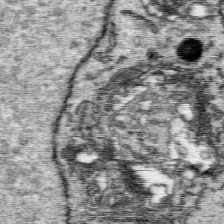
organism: Human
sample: HeLa cells